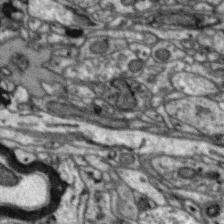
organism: Zebra finch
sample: Brain